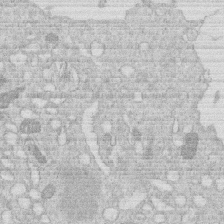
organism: Human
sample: Macrophage cells